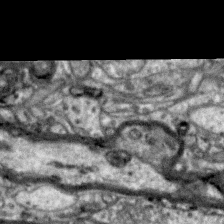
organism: Zebra finch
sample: Brain